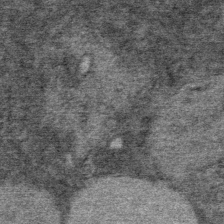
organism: Mouse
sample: Mouse Salivary gland